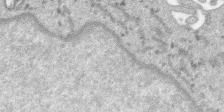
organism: Human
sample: Lung epithelial cells infected with SARS-CoV-2